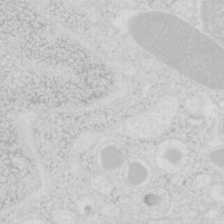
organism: Mouse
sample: Pancreas